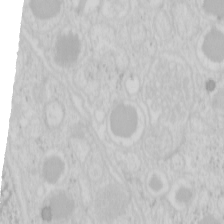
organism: Mouse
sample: Pancreas